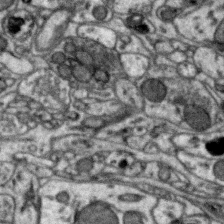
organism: Zebra finch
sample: Brain